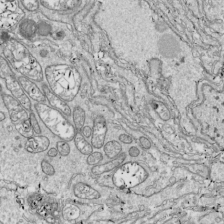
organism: Drosophila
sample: Cell division; meiosis; drosophila spermatocytes